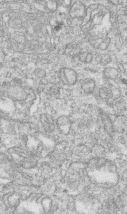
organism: Human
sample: HeLa cell HIV synapse